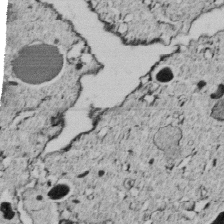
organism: C. elegans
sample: C. elegans embryo early stage